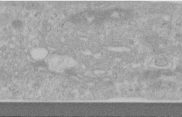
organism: Human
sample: Centriole in RPE cells